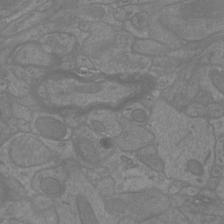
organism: Mouse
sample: Cortical neurons